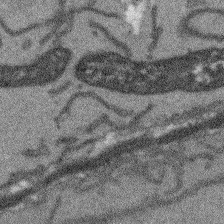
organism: Arabidopsis thaliana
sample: Root tip